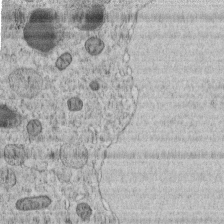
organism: C. elegans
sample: C. elegans embryo early stage